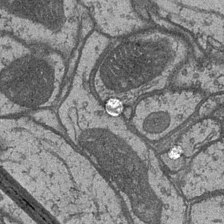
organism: Drosophila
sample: Optic medulla